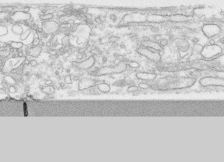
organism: Human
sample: CRL-1474